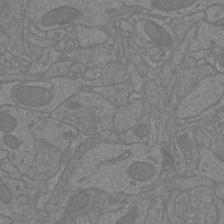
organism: Mouse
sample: Cortical neurons